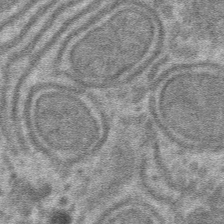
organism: Mouse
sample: Mouse hepatocytes